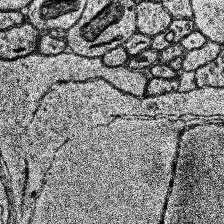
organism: Human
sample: Temporal Lobe